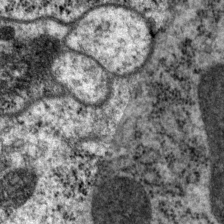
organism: P. pacificus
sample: Pharynx